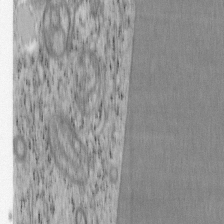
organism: Human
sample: HeLa cells